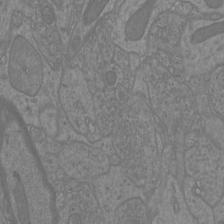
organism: Mouse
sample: Cortical neurons